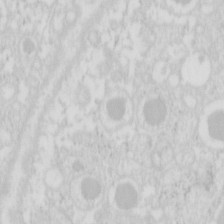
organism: Mouse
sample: Pancreas